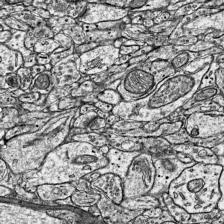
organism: Mouse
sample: Visual Cortex